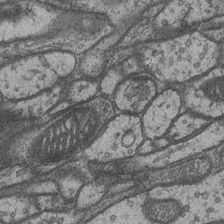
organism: Drosophila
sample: Optic medulla